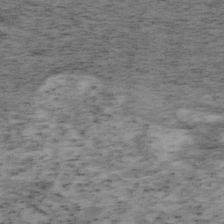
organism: Mouse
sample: OT-I killer T cells with ID8 ovarian cancer cells